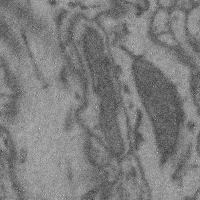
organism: Mouse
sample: Cerebral cortex